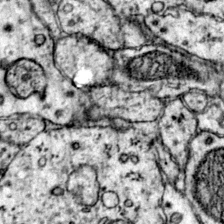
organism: Mouse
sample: Primary visual cortex